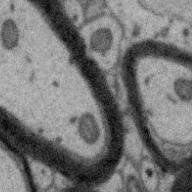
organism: Zebra finch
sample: Brain